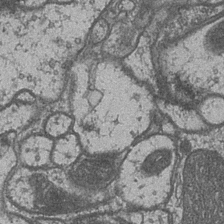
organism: Drosophila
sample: Optic medulla